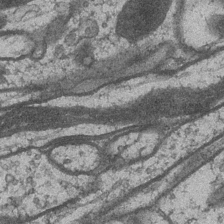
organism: Drosophila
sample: Optic medulla